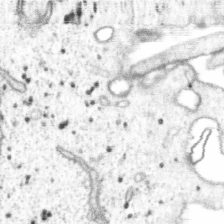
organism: Human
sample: HeLa cells